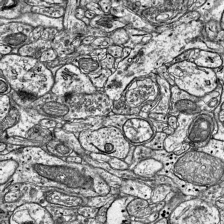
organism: Mouse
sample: Visual Cortex